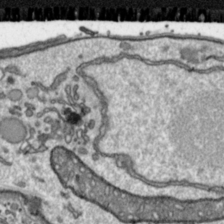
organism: Toxoplasma gondii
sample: Parasites in a vacuole inside a host cell